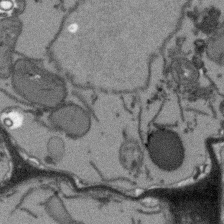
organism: Arabidopsis thaliana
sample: Root tip